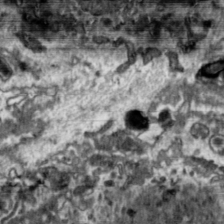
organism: Toxoplasma gondii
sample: Parasites in a vacuole inside a host cell